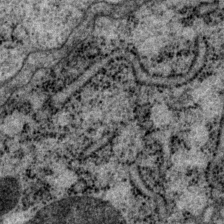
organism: P. pacificus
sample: Pharynx